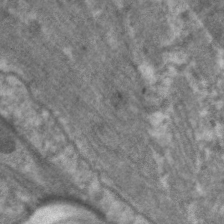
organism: C. elegans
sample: Pharynx